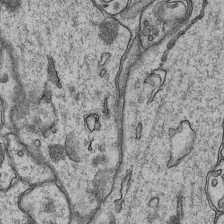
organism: Mouse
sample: CA1 Hippocampus